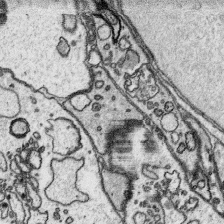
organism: Platynereis dumerilii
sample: Parapodia